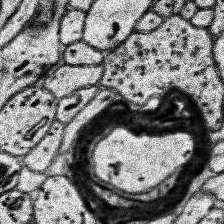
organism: Human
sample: Temporal Lobe